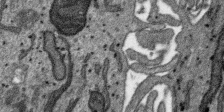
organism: Human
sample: Lung epithelial cells, uninfected (mock) control